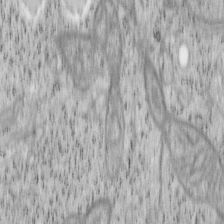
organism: Human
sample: HeLa cells